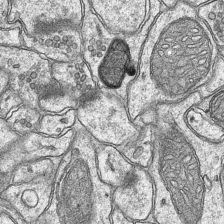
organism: Mouse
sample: CA1 Hippocampus